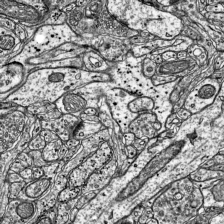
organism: Mouse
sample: Visual Cortex